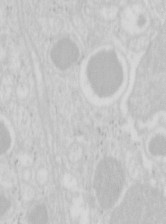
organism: Mouse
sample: Pancreas